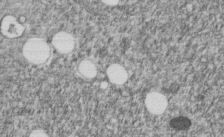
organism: C. elegans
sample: C. elegans embryo early stage